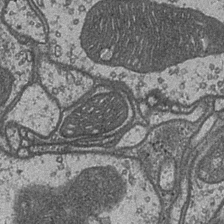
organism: Drosophila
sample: Optic medulla